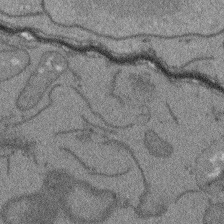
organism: Arabidopsis thaliana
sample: Root tip